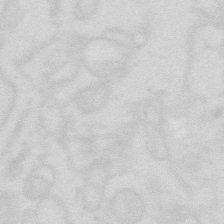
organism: Human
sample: HeLa cells